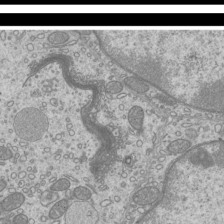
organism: Mouse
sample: Cilia; mouse epididymis